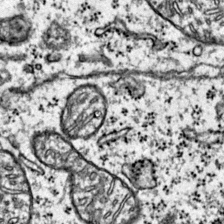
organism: Mouse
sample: Primary visual cortex